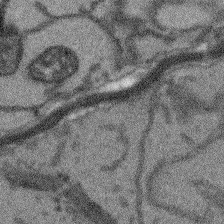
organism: Arabidopsis thaliana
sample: Root tip